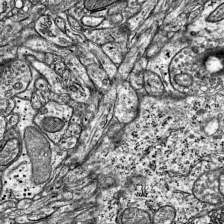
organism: Mouse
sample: Visual Cortex